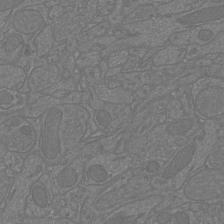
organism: Mouse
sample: Cortical neurons